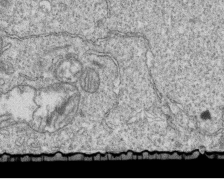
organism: Human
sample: HeLa cell HIV synapse